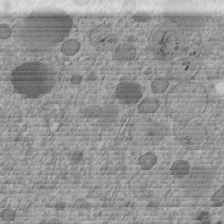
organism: C. elegans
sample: C. elegans embryo early stage